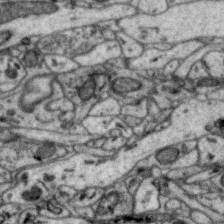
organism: Zebra finch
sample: Brain